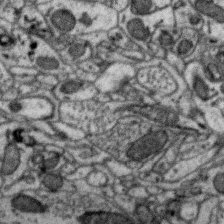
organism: Zebra finch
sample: Brain